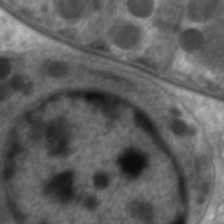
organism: C. elegans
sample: Pharynx